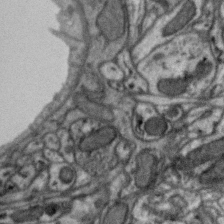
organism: Zebra finch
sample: Brain